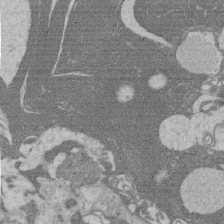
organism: Rat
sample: Salivary granule